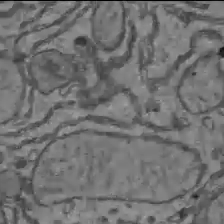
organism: C57BL Mouse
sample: Liver